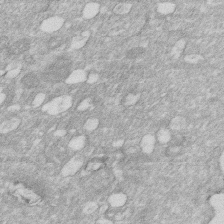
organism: Human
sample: HIV infected U937 cells